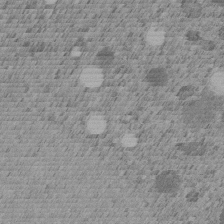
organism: C. elegans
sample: C. elegans embryo early stage